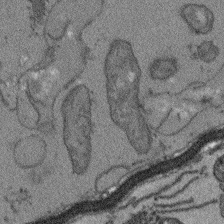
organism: Arabidopsis thaliana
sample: Root tip